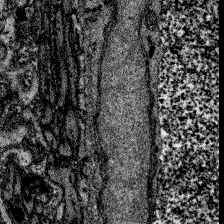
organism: Zebrafish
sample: Larval olfactory bulb